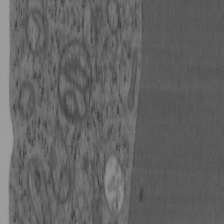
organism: Human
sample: HeLa cells